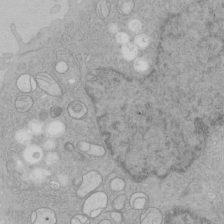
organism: Human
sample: Mitochondria in HCT116 cells